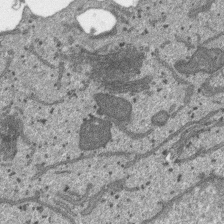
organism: Human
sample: Lung epithelial cells infected with SARS-CoV-2